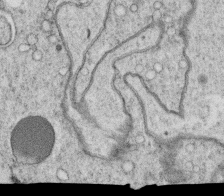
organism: C. elegans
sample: C. elegans oocyte; sperm cells